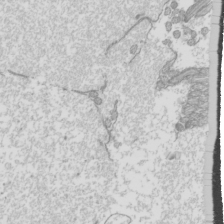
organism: Mouse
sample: Cilia; mouse epididymis